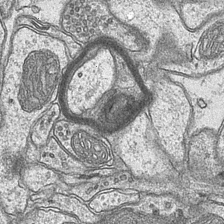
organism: Mouse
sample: CA1 Hippocampus